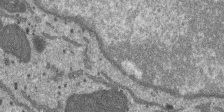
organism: Human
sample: Lung epithelial cells infected with SARS-CoV-2